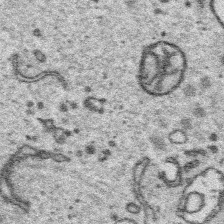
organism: Platynereis dumerilii